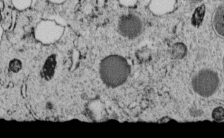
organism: C. elegans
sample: C. elegans embryo early stage